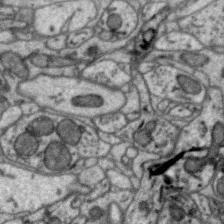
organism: Zebra finch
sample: Brain